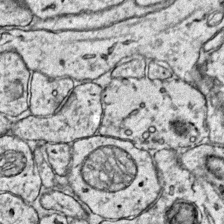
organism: Mouse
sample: Primary visual cortex